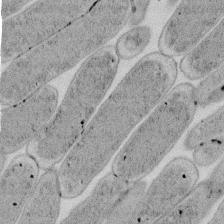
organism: E. coli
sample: Bacterial nucleoid